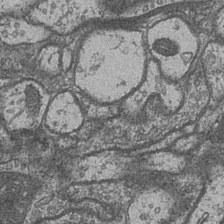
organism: Drosophila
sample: Optic medulla